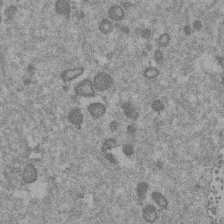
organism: Mouse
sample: Dividing mouse embryo 1 cell stage